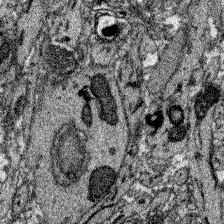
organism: Zebrafish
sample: Larval olfactory bulb